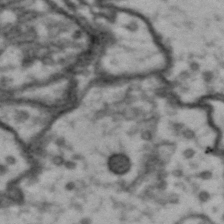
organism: Drosophila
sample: Brain